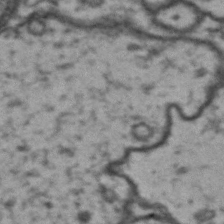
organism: Drosophila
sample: Brain